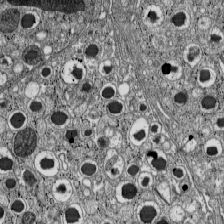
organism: C57BL Mouse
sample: Pancreatic islet